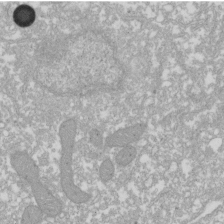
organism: Xenopus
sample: Cilia; centrioles in frog embryo cells